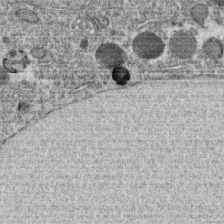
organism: C. elegans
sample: C. elegans oocyte; sperm cells